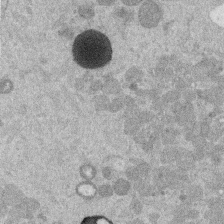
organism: Mouse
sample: Dividing mouse embryo 1 cell stage